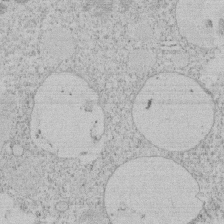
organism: Tetrahymena